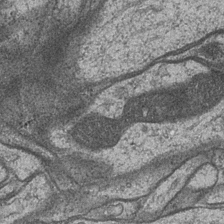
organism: Drosophila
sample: Optic medulla